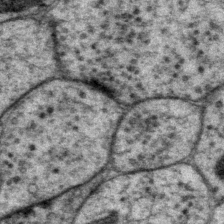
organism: P. pacificus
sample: Pharynx